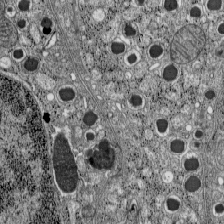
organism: C57BL Mouse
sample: Pancreatic islet